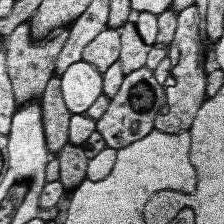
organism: Human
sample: Temporal Lobe